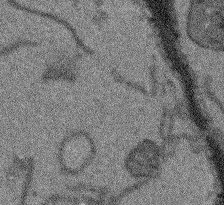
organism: Arabidopsis thaliana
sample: Root tip